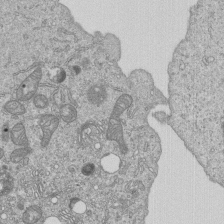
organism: Human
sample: MDA-MB-231 cells